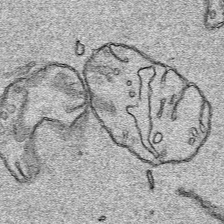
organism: Human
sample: Mitochondria in HCT116 cells